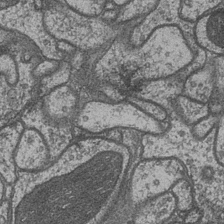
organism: Drosophila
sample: Optic medulla